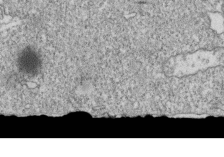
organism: Human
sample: HeLa cell HIV synapse